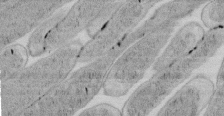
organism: E. coli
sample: Bacterial nucleoid